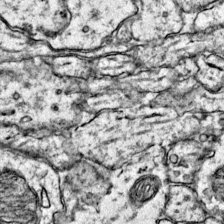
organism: Mouse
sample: Primary visual cortex